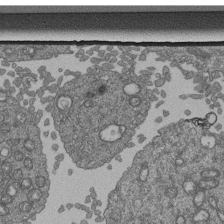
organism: Human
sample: Retinal organoid Rod and Cone cells